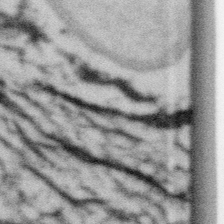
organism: Gemmata obscuriglobus